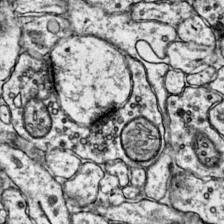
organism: Mouse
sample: Primary visual cortex